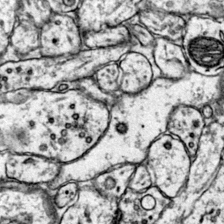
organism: Mouse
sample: Primary visual cortex